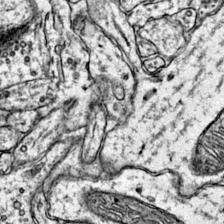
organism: Mouse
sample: Primary visual cortex